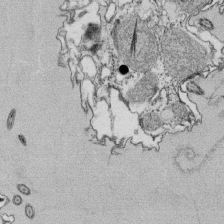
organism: Tetrahymena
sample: Cilia in tetrahymena